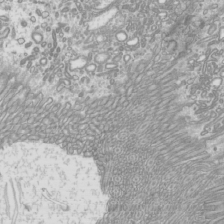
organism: Mouse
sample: Cilia; mouse epididymis